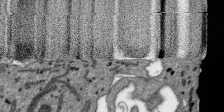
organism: Human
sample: Lung epithelial cells, uninfected (mock) control